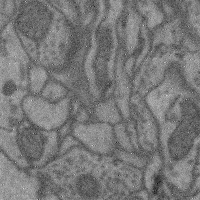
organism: Mouse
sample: Cerebral cortex